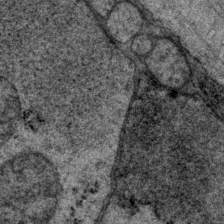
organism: P. pacificus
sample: Pharynx